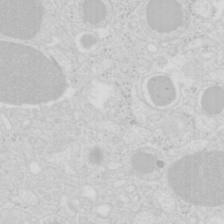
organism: Mouse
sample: Pancreas